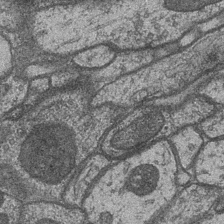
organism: Drosophila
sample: Optic medulla